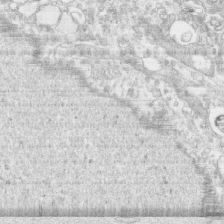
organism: Human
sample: CRL-1474